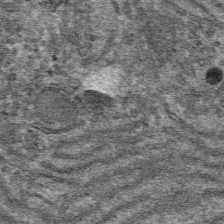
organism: Mouse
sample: Mouse hepatocytes